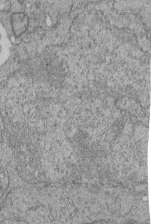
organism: Human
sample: Retinal organoid Rod and Cone cells